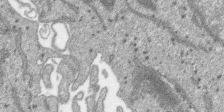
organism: Human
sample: Lung epithelial cells infected with SARS-CoV-2